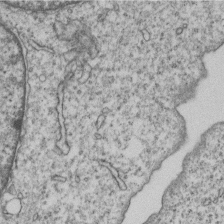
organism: Human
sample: MDA-MB-231 cells